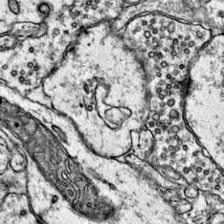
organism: Mouse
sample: Primary visual cortex